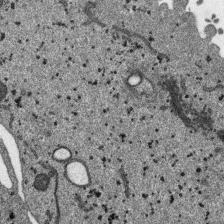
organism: Human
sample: Lung epithelial cells infected with SARS-CoV-2